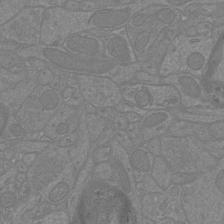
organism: Mouse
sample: Cortical neurons